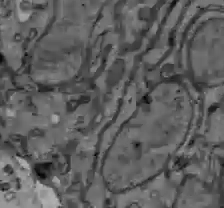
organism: C57BL Mouse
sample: Liver